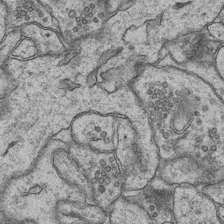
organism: Mouse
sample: CA1 Hippocampus